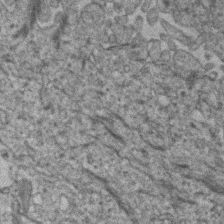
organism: Human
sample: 1205lu cells